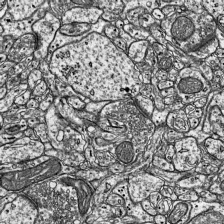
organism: Mouse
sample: Visual Cortex